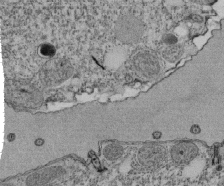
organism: Tetrahymena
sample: Cilia in tetrahymena